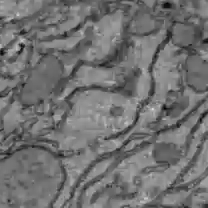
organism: C57BL Mouse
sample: Liver